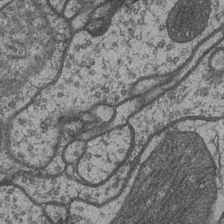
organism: Drosophila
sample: Optic medulla